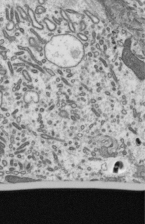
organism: Mouse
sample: Mouse epididymis efferent ductule cilia